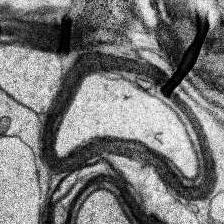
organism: Human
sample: Temporal Lobe